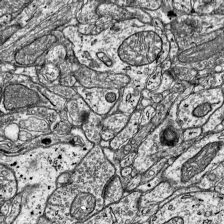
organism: Mouse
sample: Visual Cortex